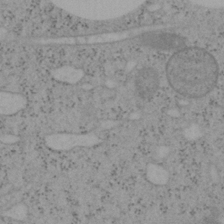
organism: Mouse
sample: OT-I killer T cells with ID8 ovarian cancer cells